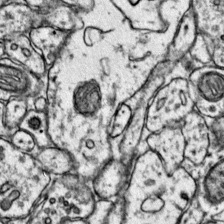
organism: Mouse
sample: Primary visual cortex